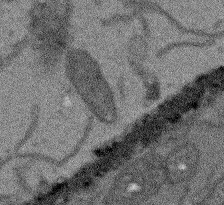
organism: Arabidopsis thaliana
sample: Root tip